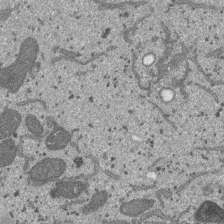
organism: Human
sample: Lung epithelial cells infected with SARS-CoV-2